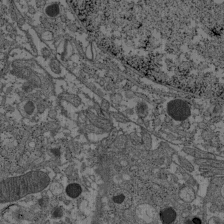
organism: C57BL Mouse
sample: Pancreatic islet